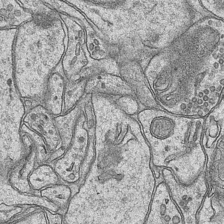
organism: Mouse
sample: CA1 Hippocampus